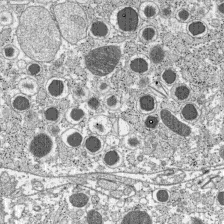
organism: C57BL Mouse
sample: Pancreatic islet